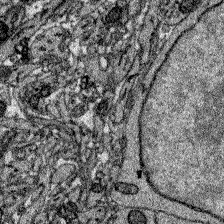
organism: Zebrafish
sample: Larval olfactory bulb